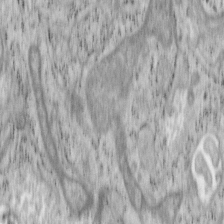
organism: Human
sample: HeLa cells